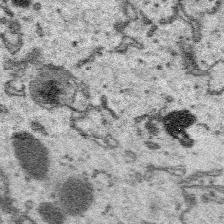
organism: Platynereis dumerilii